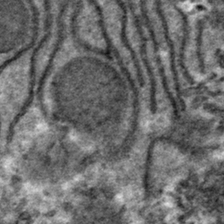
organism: Mouse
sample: Mouse hepatocytes